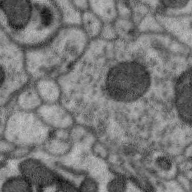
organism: Zebra finch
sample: Brain